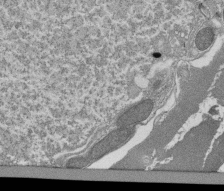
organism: Tetrahymena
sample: Cilia in tetrahymena